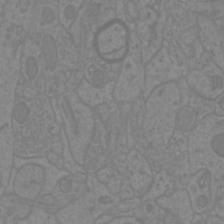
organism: Mouse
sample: Cortical neurons